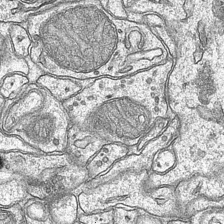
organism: Mouse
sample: CA1 Hippocampus